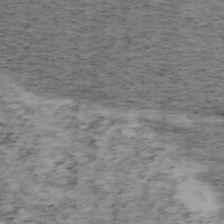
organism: Mouse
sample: OT-I killer T cells with ID8 ovarian cancer cells